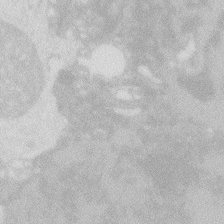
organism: Zebrafish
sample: Macrophage